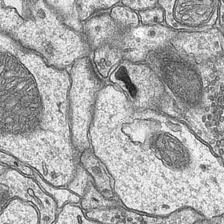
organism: Mouse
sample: CA1 Hippocampus